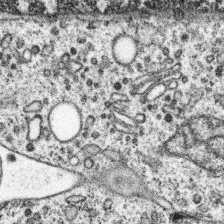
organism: Human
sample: HeLa cells